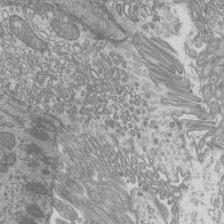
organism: Mouse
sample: Cilia; mouse epididymis